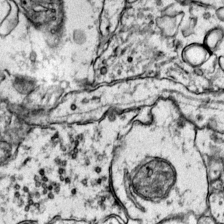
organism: Mouse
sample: Primary visual cortex